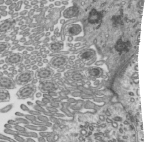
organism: Mouse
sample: Mouse epididymis efferent ductule cilia